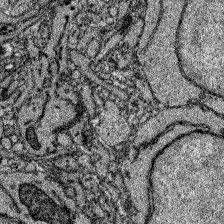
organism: Zebrafish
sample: Larval olfactory bulb